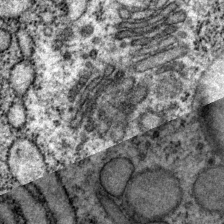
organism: P. pacificus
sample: Pharynx